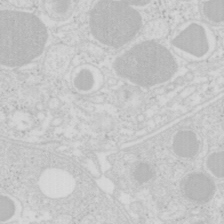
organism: Mouse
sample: Pancreas